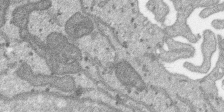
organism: Human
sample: Lung epithelial cells infected with SARS-CoV-2